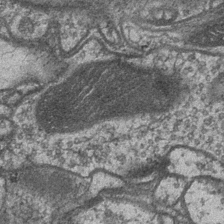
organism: Drosophila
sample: Optic medulla